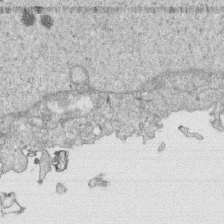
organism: Human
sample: HeLa cell HIV synapse